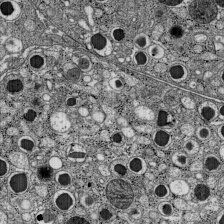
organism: C57BL Mouse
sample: Pancreatic islet